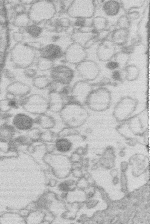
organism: Human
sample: Macrophage cells